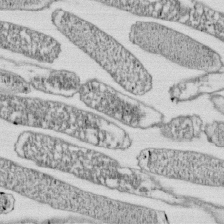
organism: E. coli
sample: Bacterial nucleoid